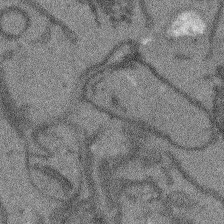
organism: Arabidopsis thaliana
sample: Root tip